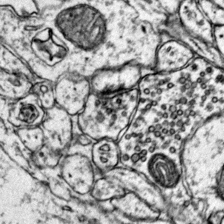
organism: Mouse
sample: Primary visual cortex